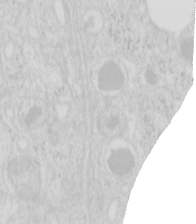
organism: Mouse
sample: Pancreas